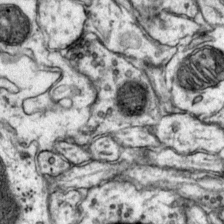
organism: Mouse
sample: Primary visual cortex